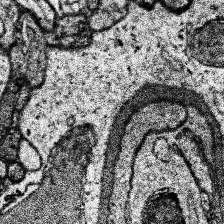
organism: Human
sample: Temporal Lobe